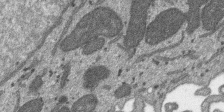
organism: Human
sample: Lung epithelial cells infected with SARS-CoV-2